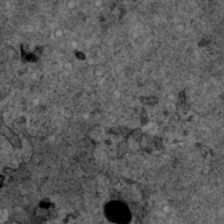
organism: Human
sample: Mitochondria in HCT116 cells